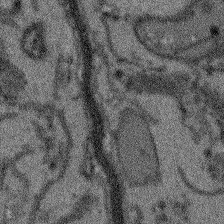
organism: Arabidopsis thaliana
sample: Root tip